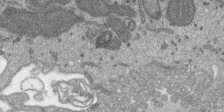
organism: Human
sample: Lung epithelial cells infected with SARS-CoV-2